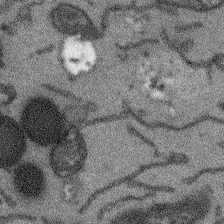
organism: Arabidopsis thaliana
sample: Root tip